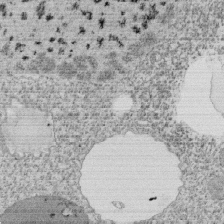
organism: Tetrahymena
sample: Cilia in tetrahymena